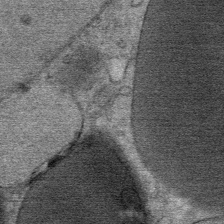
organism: Mouse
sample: Mouse Salivary gland